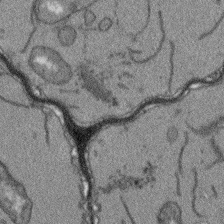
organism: Arabidopsis thaliana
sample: Root tip